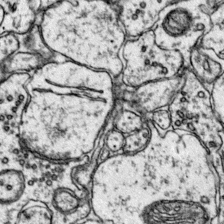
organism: Mouse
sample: Primary visual cortex